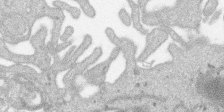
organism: Human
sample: Lung epithelial cells infected with SARS-CoV-2